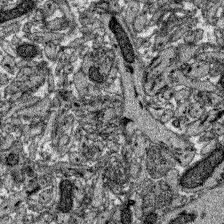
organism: Zebrafish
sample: Larval olfactory bulb